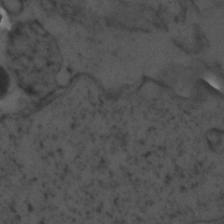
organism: Zebrafish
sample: Zebrafish embryo